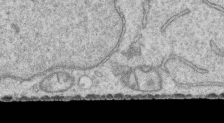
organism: Human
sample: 1205lu cells